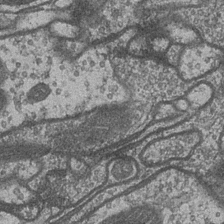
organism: Drosophila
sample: Optic medulla